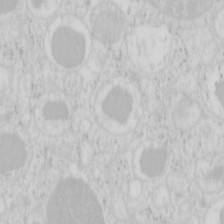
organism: Mouse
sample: Pancreas